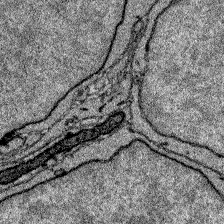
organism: Zebrafish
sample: Larval olfactory bulb